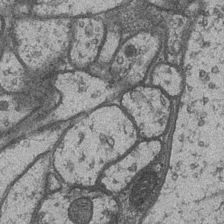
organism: Drosophila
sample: Optic medulla